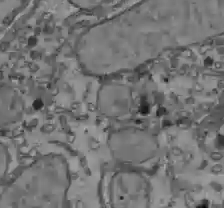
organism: C57BL Mouse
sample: Liver